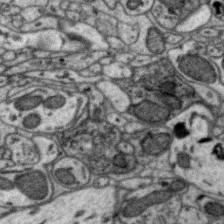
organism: Zebra finch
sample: Brain